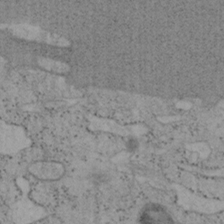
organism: Mouse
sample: OT-I killer T cells with ID8 ovarian cancer cells